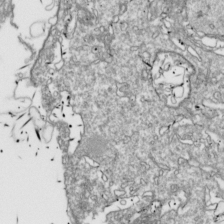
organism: Drosophila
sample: Cell division; meiosis; drosophila spermatocytes